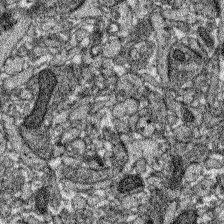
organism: Zebrafish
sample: Larval olfactory bulb